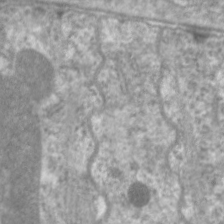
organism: C. elegans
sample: Pharynx